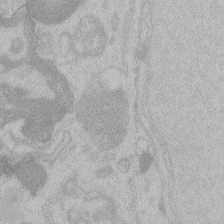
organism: Zebrafish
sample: Macrophage infected with Toxoplasma gondii